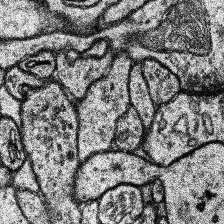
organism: Human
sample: Temporal Lobe